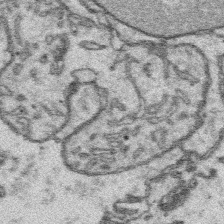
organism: Platynereis dumerilii